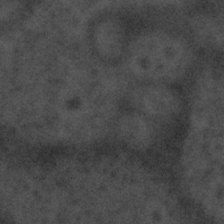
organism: Tuwongella immobilis